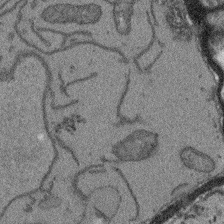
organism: Arabidopsis thaliana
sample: Root tip